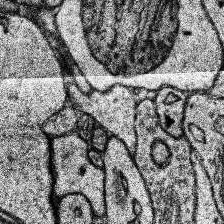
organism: Human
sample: Temporal Lobe